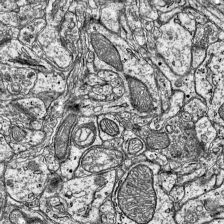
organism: Mouse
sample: Visual Cortex